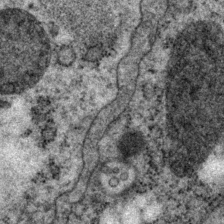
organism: P. pacificus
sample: Pharynx